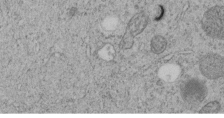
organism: C. elegans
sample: C. elegans embryo early stage